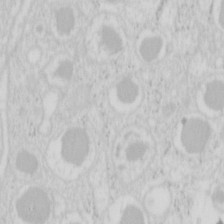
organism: Mouse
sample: Pancreas